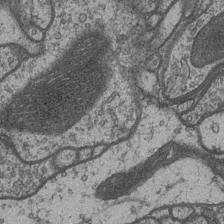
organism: Drosophila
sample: Optic medulla